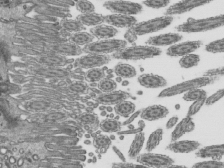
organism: Mouse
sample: Mouse epididymis efferent ductule cilia